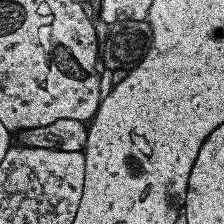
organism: Human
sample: Temporal Lobe